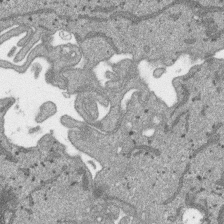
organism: Human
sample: Lung epithelial cells infected with SARS-CoV-2